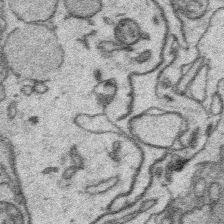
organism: Platynereis dumerilii